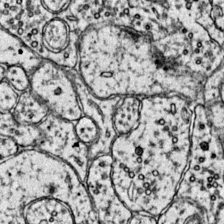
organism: Mouse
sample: Primary visual cortex